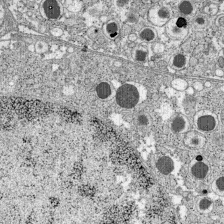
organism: C57BL Mouse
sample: Pancreatic islet